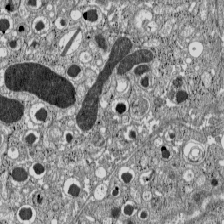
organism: C57BL Mouse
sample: Pancreatic islet